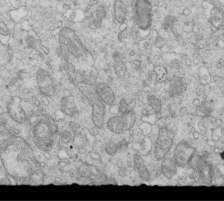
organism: Mouse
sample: Multiciliated cells